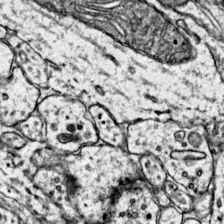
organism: Mouse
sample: Primary visual cortex